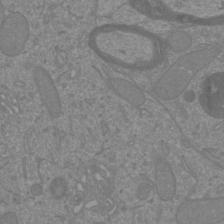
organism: Mouse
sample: Cortical neurons